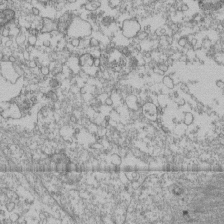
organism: Human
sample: Fibroblast cells